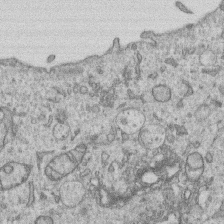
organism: Human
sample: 1205lu cells